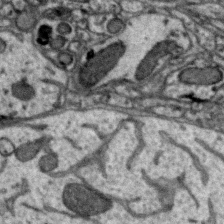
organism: Zebra finch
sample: Brain